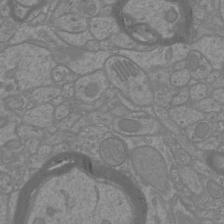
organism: Mouse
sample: Cortical neurons